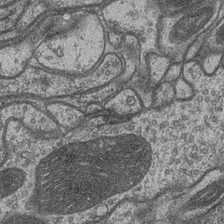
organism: Drosophila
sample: Optic medulla